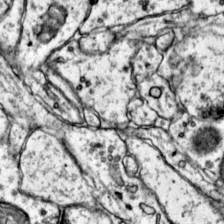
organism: Mouse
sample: Primary visual cortex